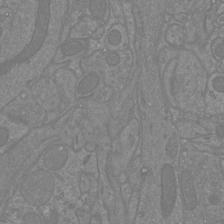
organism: Mouse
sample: Cortical neurons